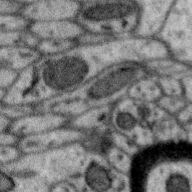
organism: Zebra finch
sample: Brain